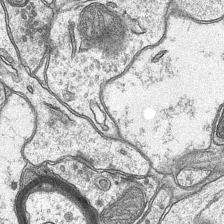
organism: Mouse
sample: CA1 Hippocampus